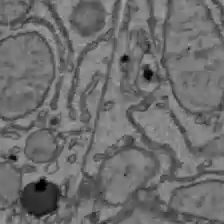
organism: C57BL Mouse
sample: Liver